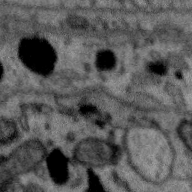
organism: Zebra finch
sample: Brain